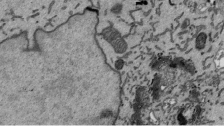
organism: Mouse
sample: ED-1 cell nuclei; centrioles